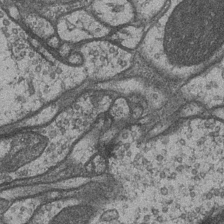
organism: Drosophila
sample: Optic medulla